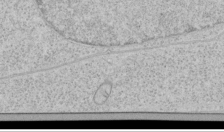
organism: Human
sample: Mitochondria in HCT116 cells